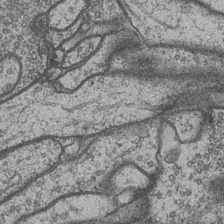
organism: Drosophila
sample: Optic medulla